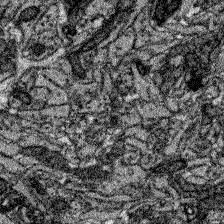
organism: Zebrafish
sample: Larval olfactory bulb